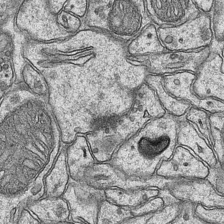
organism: Mouse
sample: CA1 Hippocampus